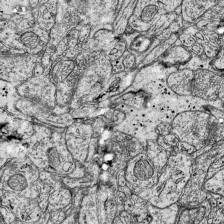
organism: Mouse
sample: Visual Cortex